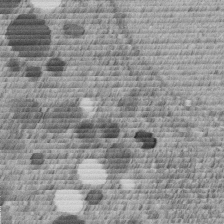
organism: C. elegans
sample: C. elegans embryo early stage